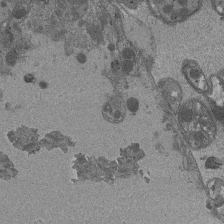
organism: Drosophila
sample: Antenna